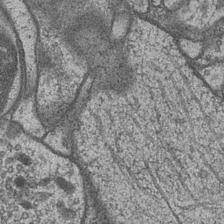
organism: Drosophila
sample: Optic medulla